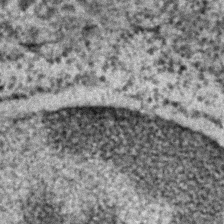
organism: C. elegans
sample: C. elegans embryo